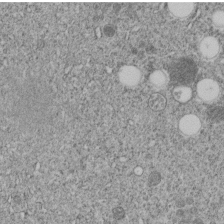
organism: C. elegans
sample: C. elegans embryo early stage